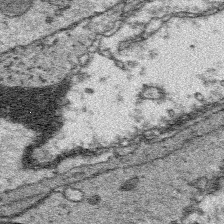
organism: Platynereis dumerilii